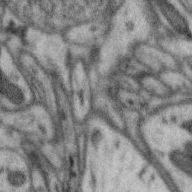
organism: Zebra finch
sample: Brain